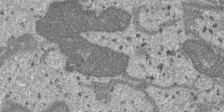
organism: Human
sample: Lung epithelial cells infected with SARS-CoV-2